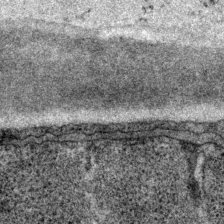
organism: P. pacificus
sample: Pharynx